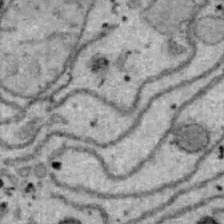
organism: Mouse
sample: Liver from an obese (ob/ob) mouse